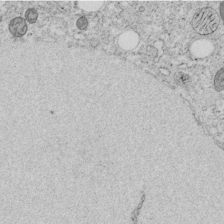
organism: C. elegans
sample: C. elegans embryo early stage